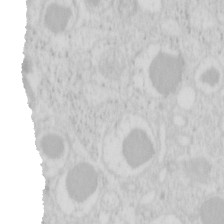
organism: Mouse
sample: Pancreas